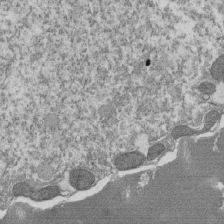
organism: Tetrahymena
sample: Cilia in tetrahymena